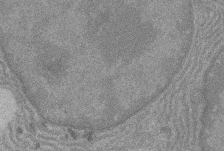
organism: Rat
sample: Salivary granule